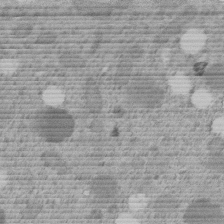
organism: C. elegans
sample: C. elegans embryo early stage